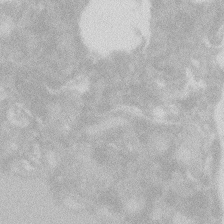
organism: Zebrafish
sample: Macrophage